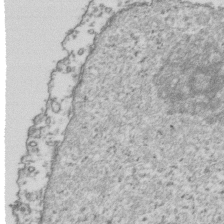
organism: Human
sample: Activated Jurkat CD4+ T cells